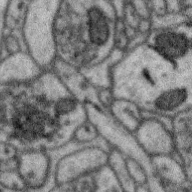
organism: Zebra finch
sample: Brain